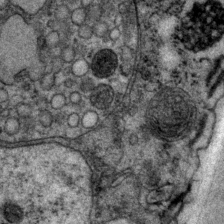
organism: P. pacificus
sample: Pharynx